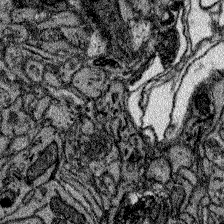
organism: Zebrafish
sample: Larval olfactory bulb